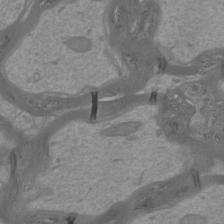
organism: Mouse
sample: Cortical neurons